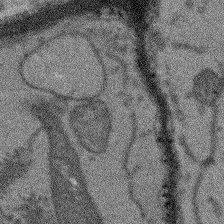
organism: Arabidopsis thaliana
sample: Root tip